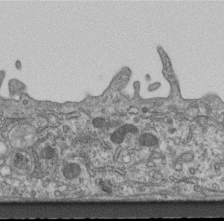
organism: Mouse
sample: Centriole in ependymal cells